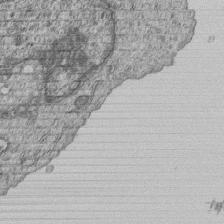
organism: Human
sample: MDA-MB-231 cells